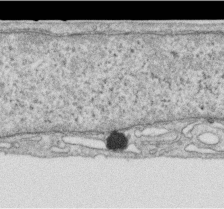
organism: Human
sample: Centriole in RPE cells